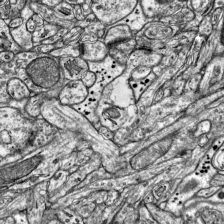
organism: Mouse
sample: Visual Cortex